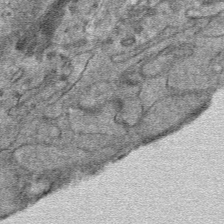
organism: Mouse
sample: Mouse hepatocytes